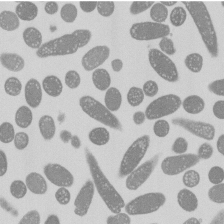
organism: E. coli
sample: Bacterial nucleoid